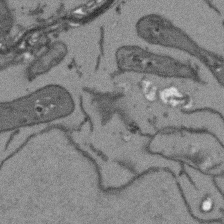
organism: Arabidopsis thaliana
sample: Root tip